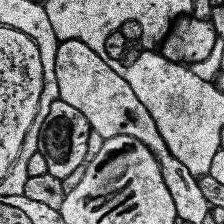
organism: Human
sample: Temporal Lobe